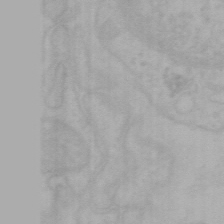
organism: Mouse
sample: Choroid plexus